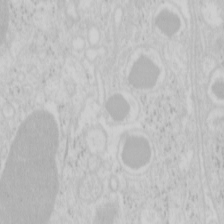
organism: Mouse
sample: Pancreas